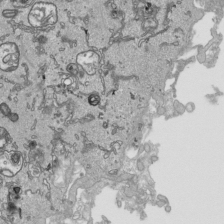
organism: Human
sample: Mitochondria in HCT116 cells